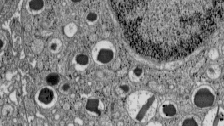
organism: C57BL Mouse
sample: Pancreatic islet